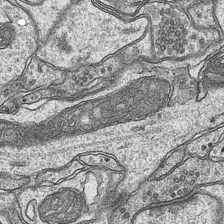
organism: Mouse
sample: CA1 Hippocampus